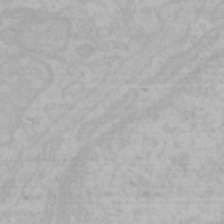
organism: Mouse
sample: Choroid plexus